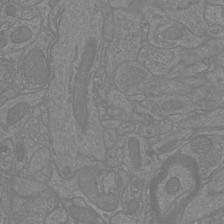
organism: Mouse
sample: Cortical neurons